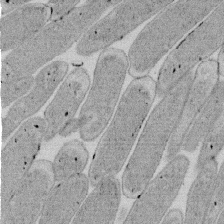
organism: E. coli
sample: Bacterial nucleoid